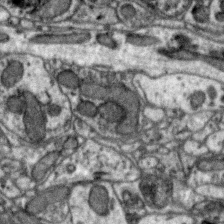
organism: Zebra finch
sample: Brain